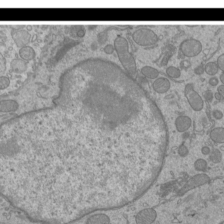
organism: Mouse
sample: Cilia; mouse epididymis